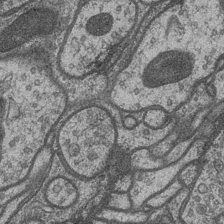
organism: Drosophila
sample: Optic medulla